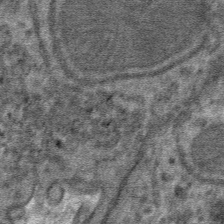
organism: Mouse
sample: Mouse hepatocytes